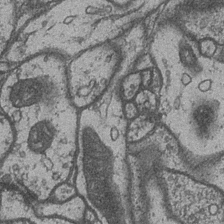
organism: Drosophila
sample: Optic medulla